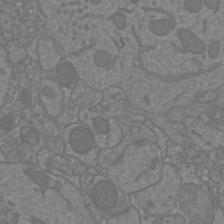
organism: Mouse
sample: Cortical neurons